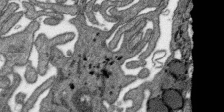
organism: Human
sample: Lung epithelial cells, uninfected (mock) control